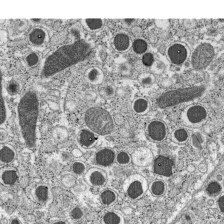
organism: C57BL Mouse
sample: Pancreatic islet